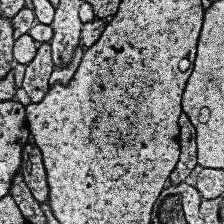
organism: Human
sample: Temporal Lobe